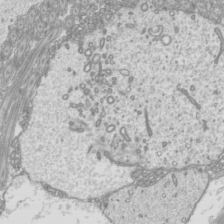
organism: Mouse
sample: Cilia; mouse epididymis